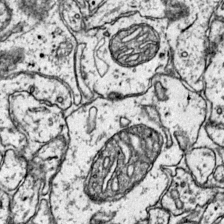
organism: Mouse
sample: Primary visual cortex